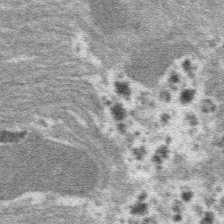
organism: Mouse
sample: Mouse hepatocytes